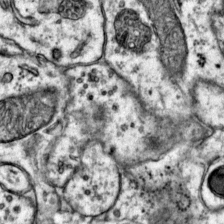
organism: Mouse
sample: Primary visual cortex